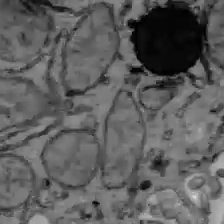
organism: C57BL Mouse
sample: Liver